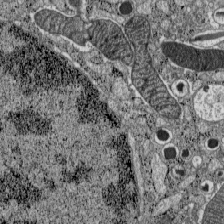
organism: C57BL Mouse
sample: Pancreatic islet